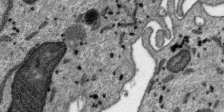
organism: Human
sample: Lung epithelial cells, uninfected (mock) control